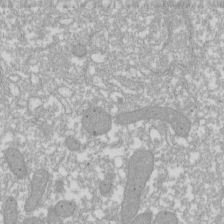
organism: Xenopus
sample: Cilia; centrioles in frog embryo cells